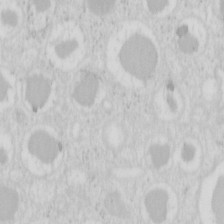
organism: Mouse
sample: Pancreas